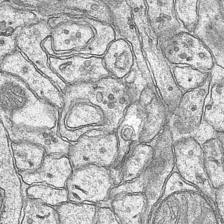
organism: Mouse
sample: CA1 Hippocampus